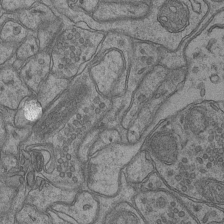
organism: Mouse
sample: CA1 Hippocampus